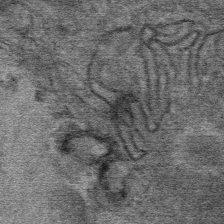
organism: Mouse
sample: Mouse Salivary gland